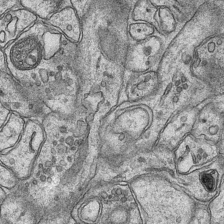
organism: Mouse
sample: CA1 Hippocampus